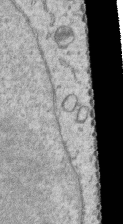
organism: Human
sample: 1205lu cells